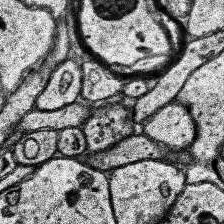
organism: Human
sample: Temporal Lobe